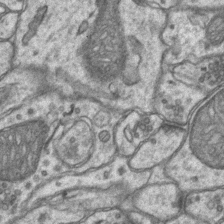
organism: Mouse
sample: CA1 Hippocampus